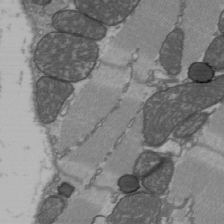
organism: C57BL Mouse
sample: Heart